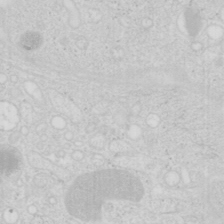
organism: Mouse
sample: Pancreas